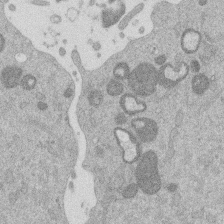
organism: Mouse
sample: Dividing mouse embryo 1 cell stage